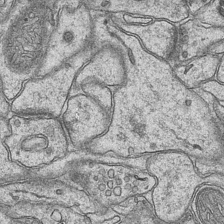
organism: Mouse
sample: CA1 Hippocampus